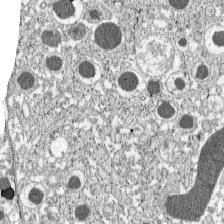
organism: C57BL Mouse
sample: Pancreatic islet